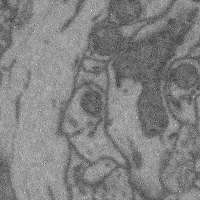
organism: Mouse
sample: Cerebral cortex